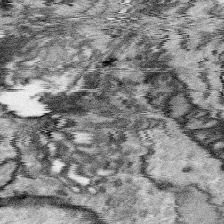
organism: Human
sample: HeLa cells